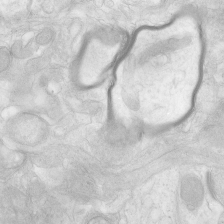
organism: Human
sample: Neocortex